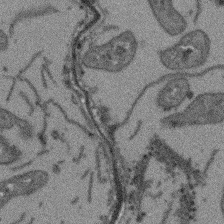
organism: Arabidopsis thaliana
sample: Root tip